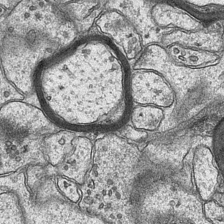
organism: Mouse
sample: CA1 Hippocampus